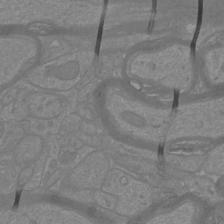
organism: Mouse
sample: Cortical neurons